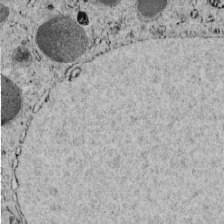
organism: C. elegans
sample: C. elegans embryo early stage